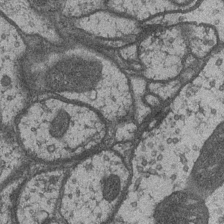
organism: Drosophila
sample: Optic medulla